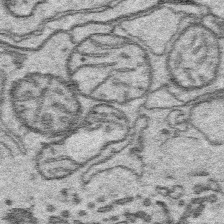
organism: Platynereis dumerilii